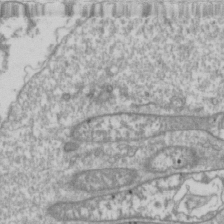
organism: Drosophila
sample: Cell division; meiosis; drosophila spermatocytes